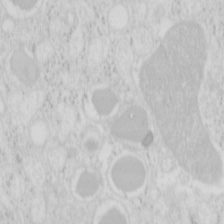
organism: Mouse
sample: Pancreas